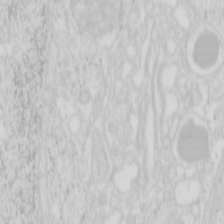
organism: Mouse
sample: Pancreas